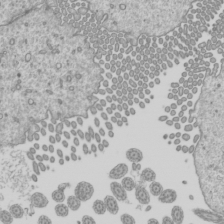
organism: Mouse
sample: Cilia; mouse epididymis